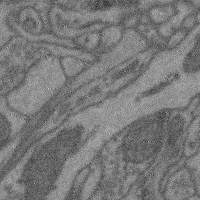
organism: Mouse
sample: Cerebral cortex